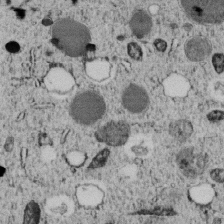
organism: C. elegans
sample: C. elegans embryo early stage